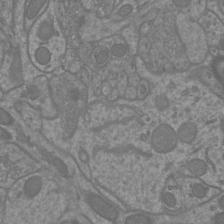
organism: Mouse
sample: Cortical neurons